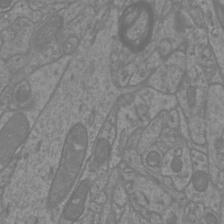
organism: Mouse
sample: Cortical neurons